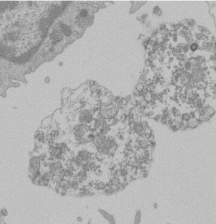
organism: Mouse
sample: Activated Pmel transgenic CD8+ T Cells